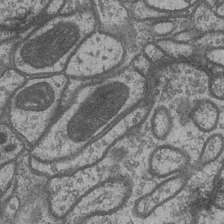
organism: Drosophila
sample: Optic medulla